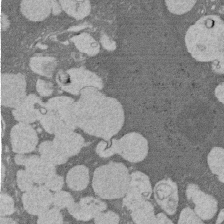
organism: Rat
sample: Salivary granule